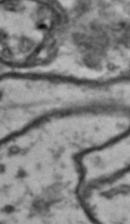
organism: Drosophila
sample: Brain